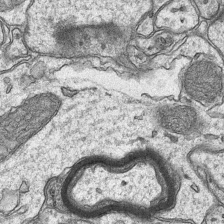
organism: Mouse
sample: CA1 Hippocampus